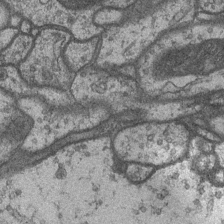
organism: Drosophila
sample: Optic medulla